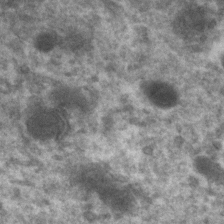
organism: Zebrafish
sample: Zebrafish embryo